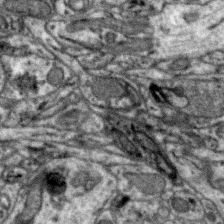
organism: Zebra finch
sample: Brain